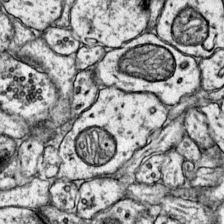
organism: Mouse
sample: Primary visual cortex